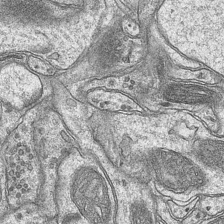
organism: Mouse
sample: CA1 Hippocampus